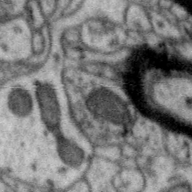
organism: Zebra finch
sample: Brain